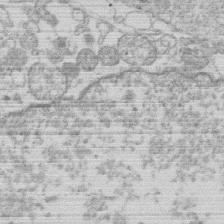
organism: Human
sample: Macrophage cells